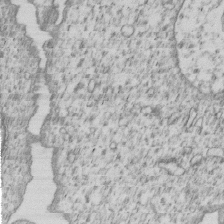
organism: Human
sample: MDA-MB-231 cells